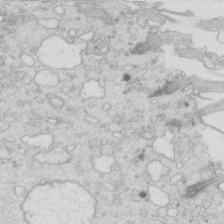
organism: Mouse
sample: Multiciliated cells